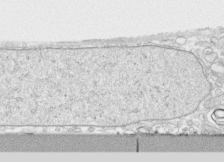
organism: Human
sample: CRL-1474